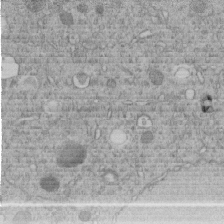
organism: C. elegans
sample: C. elegans embryo early stage